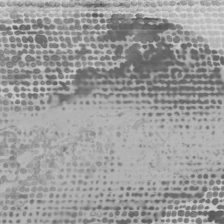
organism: Mouse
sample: Cancer cell death in ED-1 cells